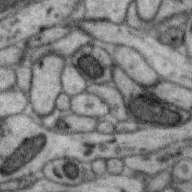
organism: Zebra finch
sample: Brain